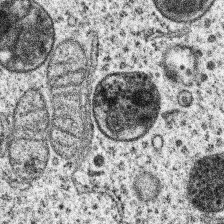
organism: Human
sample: HeLa cells